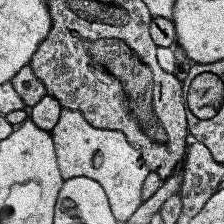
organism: Human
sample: Temporal Lobe